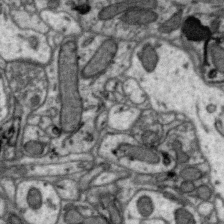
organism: Zebra finch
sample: Brain